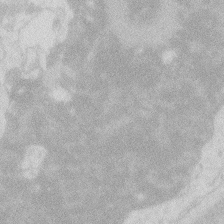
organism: Zebrafish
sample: Macrophage